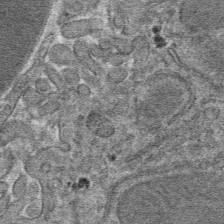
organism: Mouse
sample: Mouse hepatocytes